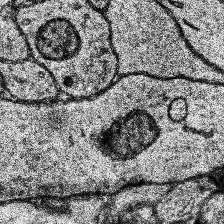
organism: Human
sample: Temporal Lobe